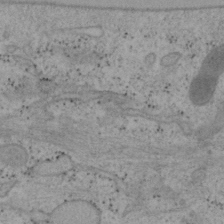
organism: Human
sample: HeLa cells